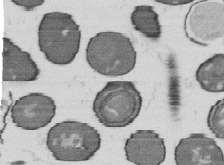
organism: B. subtilis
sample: Bacterial spore